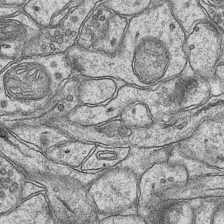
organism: Mouse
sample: CA1 Hippocampus